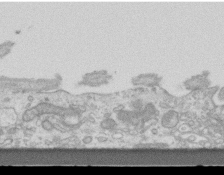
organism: Mouse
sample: Centriole in ependymal cells